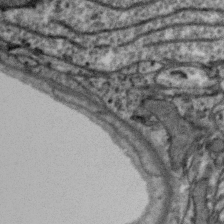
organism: Zebra finch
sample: Brain